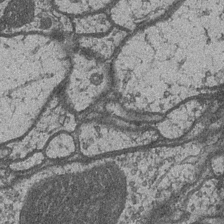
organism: Drosophila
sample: Optic medulla